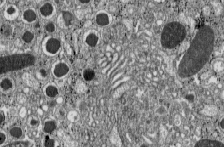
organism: C57BL Mouse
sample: Pancreatic islet